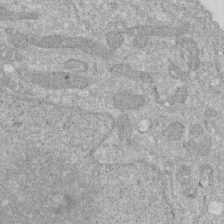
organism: Human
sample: HIV infected U937 cells